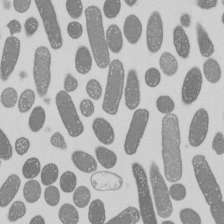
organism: E. coli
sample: Bacterial nucleoid